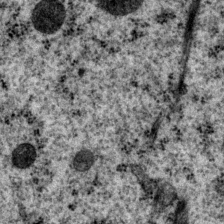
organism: P. pacificus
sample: Pharynx